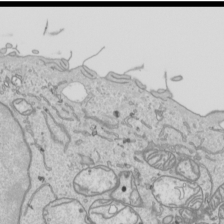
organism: Human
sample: Mitochondria in HCT116 cells